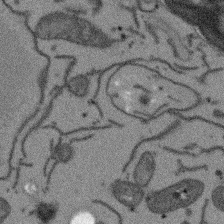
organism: Arabidopsis thaliana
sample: Root tip